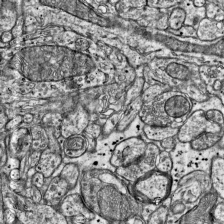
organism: Mouse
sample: Visual Cortex